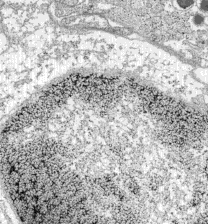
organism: C57BL Mouse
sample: Pancreatic islet